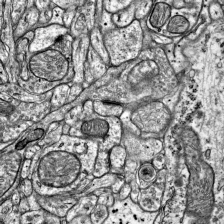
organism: Mouse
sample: Visual Cortex